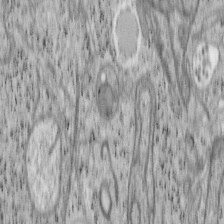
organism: Human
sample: HeLa cells